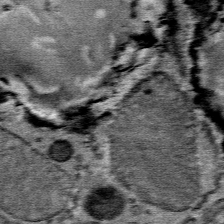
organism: Mouse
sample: Mouse Salivary gland